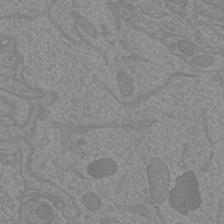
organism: Mouse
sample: Cortical neurons